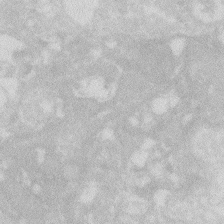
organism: Zebrafish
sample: Macrophage